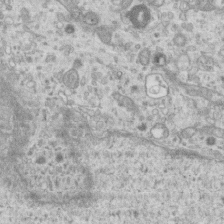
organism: Mouse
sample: Centriole in ependymal cells